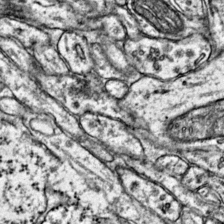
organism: Mouse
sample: Primary visual cortex